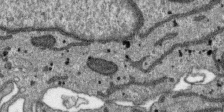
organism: Human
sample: Lung epithelial cells, uninfected (mock) control